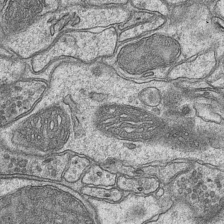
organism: Mouse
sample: CA1 Hippocampus